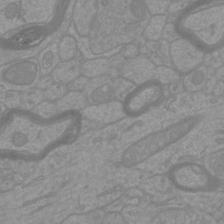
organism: Mouse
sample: Cortical neurons